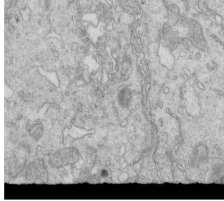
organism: Mouse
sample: Multiciliated cells